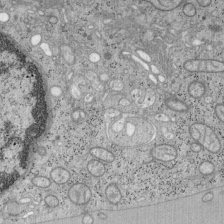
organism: Mouse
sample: OT-I killer T cells with ID8 ovarian cancer cells